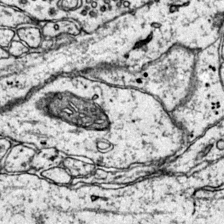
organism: Mouse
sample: Primary visual cortex